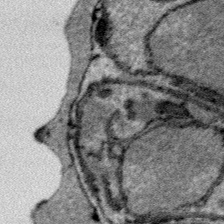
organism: Plasmodium falciparum